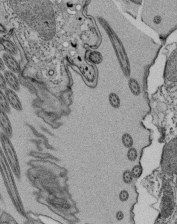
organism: Tetrahymena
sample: Cilia in tetrahymena